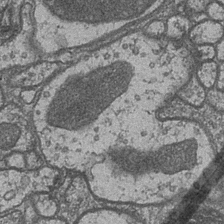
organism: Drosophila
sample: Optic medulla